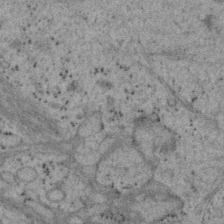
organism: Human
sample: HeLa cells